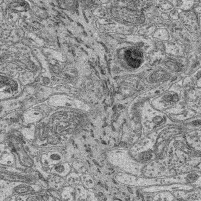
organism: Mouse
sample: Retina